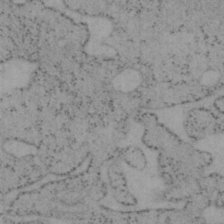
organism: Mouse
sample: OT-I killer T cells with ID8 ovarian cancer cells